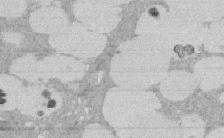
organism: Rat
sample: Salivary granule